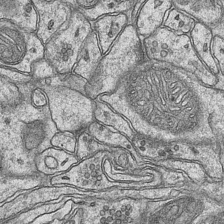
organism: Mouse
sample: CA1 Hippocampus